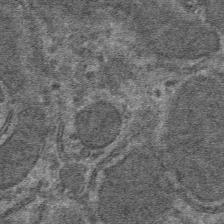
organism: Mouse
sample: Mouse hepatocytes